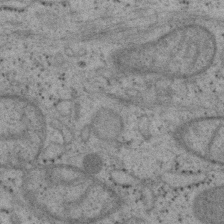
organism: Human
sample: HeLa cells